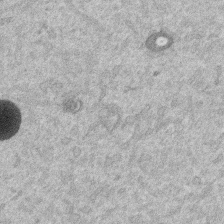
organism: Mouse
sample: Dividing mouse embryo 1 cell stage